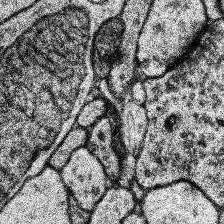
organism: Human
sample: Temporal Lobe